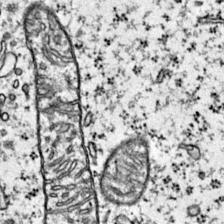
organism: Mouse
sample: Primary visual cortex